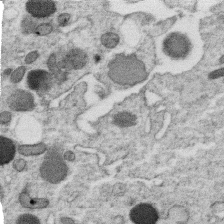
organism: C. elegans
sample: C. elegans oocyte; sperm cells